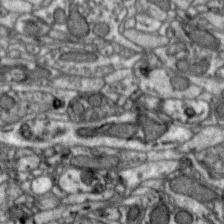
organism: Zebra finch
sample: Brain